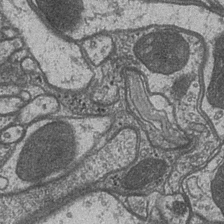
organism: Drosophila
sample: Optic medulla